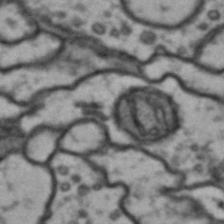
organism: Drosophila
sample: Brain